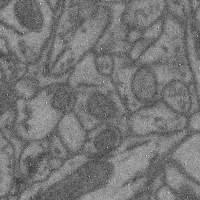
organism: Mouse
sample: Cerebral cortex